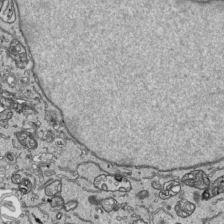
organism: Human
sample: Mitochondria in HCT116 cells